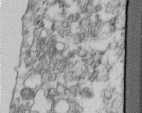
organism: Human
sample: Centriole in fibroblast cells